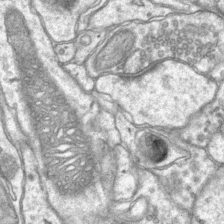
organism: Mouse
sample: CA1 Hippocampus